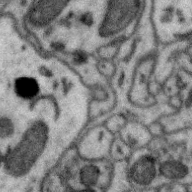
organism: Zebra finch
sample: Brain